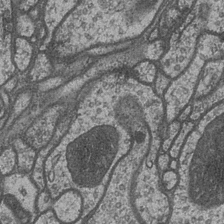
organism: Drosophila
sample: Optic medulla